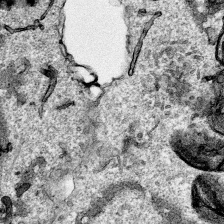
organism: Human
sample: Mitochondria in HCT116 cells